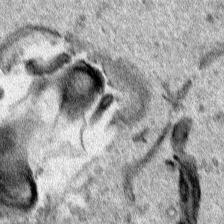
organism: Human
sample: Mitochondria in HCT116 cells